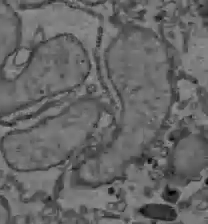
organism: C57BL Mouse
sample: Liver